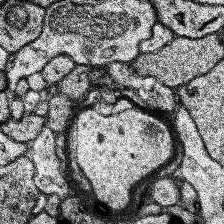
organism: Human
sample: Temporal Lobe